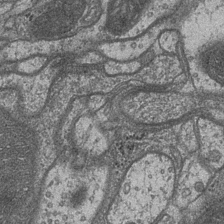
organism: Drosophila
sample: Optic medulla